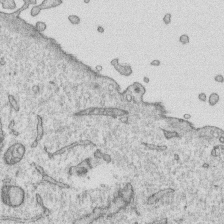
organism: Human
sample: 1205lu cells